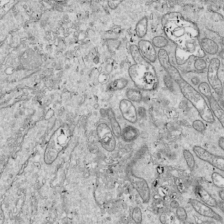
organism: Drosophila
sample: Cell division; meiosis; drosophila spermatocytes